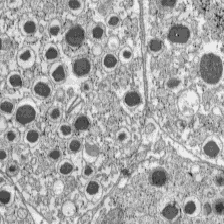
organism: C57BL Mouse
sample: Pancreatic islet